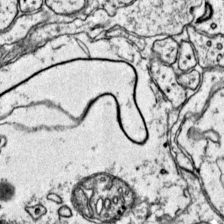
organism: Mouse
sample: Primary visual cortex